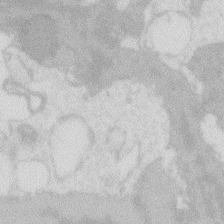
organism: Zebrafish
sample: Macrophage